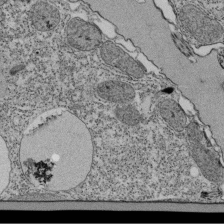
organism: Tetrahymena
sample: Cilia in tetrahymena